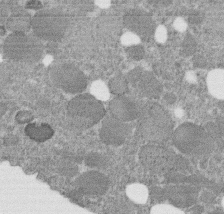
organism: C. elegans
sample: C. elegans embryo early stage